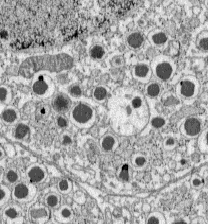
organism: C57BL Mouse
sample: Pancreatic islet